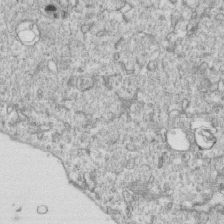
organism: Mouse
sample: Activated OT-1 CD8+ T cells